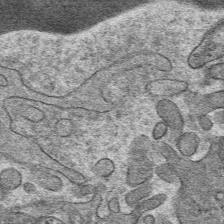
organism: Mouse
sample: Mouse hepatocytes